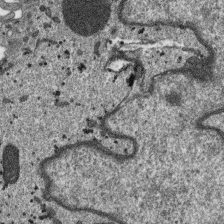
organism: Human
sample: Lung epithelial cells infected with SARS-CoV-2